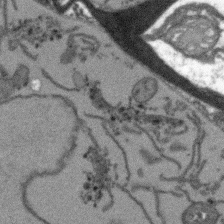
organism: Arabidopsis thaliana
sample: Root tip